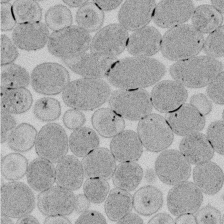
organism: E. coli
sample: Bacterial nucleoid